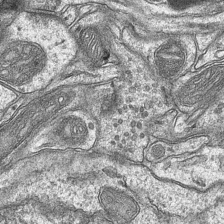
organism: Mouse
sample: CA1 Hippocampus